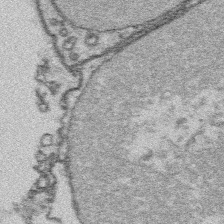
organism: Platynereis dumerilii